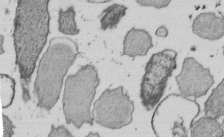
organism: E. coli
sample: Bacterial nucleoid